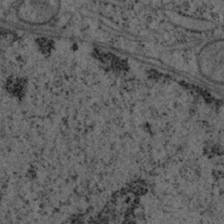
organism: Human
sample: HeLa cells